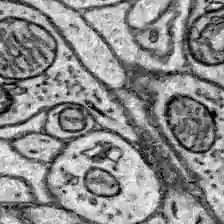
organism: Zebrafish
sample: Brain